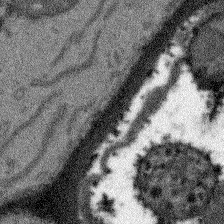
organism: Arabidopsis thaliana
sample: Root tip